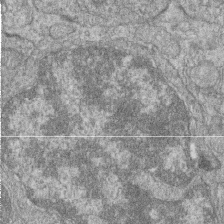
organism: Zebrafish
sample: Cilia; retinal pigment epithelium